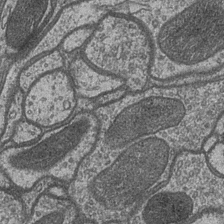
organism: Drosophila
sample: Optic medulla